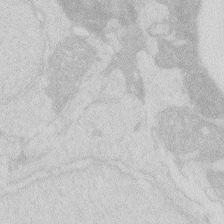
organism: Zebrafish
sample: Macrophage